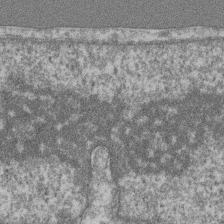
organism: Mouse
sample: T cell stromal cell synapse